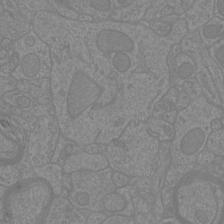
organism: Mouse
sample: Cortical neurons